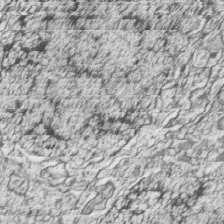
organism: Zebrafish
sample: synaptic ribbons in rod cells and cone cells